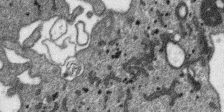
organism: Human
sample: Lung epithelial cells infected with SARS-CoV-2